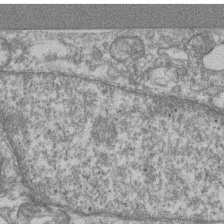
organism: Mouse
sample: T cell stromal cell synapse